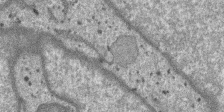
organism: Human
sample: Lung epithelial cells infected with SARS-CoV-2